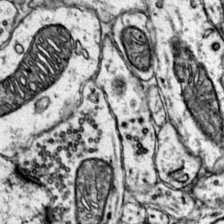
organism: Mouse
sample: Primary visual cortex